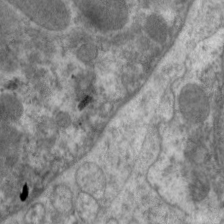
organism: C. elegans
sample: Pharynx